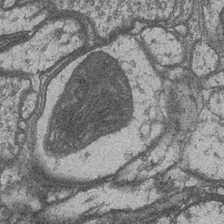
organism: Drosophila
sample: Optic medulla